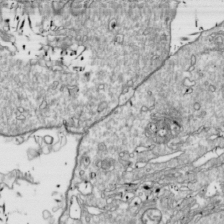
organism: Drosophila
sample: Cell division; meiosis; drosophila spermatocytes